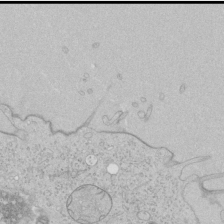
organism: Human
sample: Mitochondria in HCT116 cells